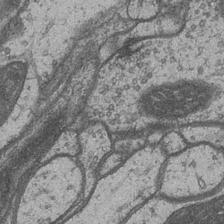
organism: Drosophila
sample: Optic medulla